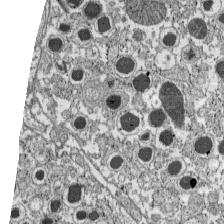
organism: C57BL Mouse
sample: Pancreatic islet